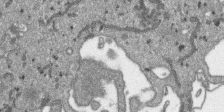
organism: Human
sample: Lung epithelial cells infected with SARS-CoV-2